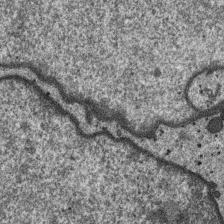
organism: Human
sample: Lung epithelial cells infected with SARS-CoV-2